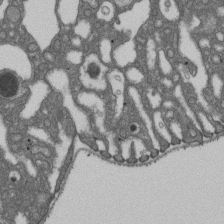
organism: Drosophila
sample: Nephrocyte